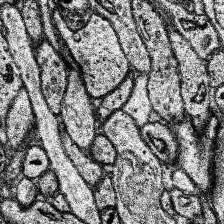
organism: Human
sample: Temporal Lobe